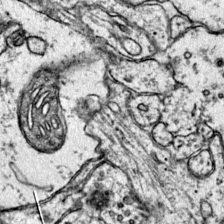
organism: Mouse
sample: Primary visual cortex